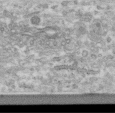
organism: Human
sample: Centriole in RPE cells